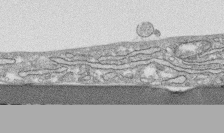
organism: Human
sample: CRL-1474